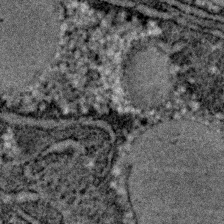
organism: C. elegans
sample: C. elegans embryo